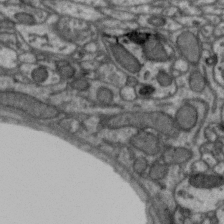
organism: Zebra finch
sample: Brain